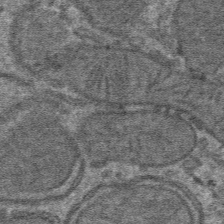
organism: Mouse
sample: Mouse hepatocytes